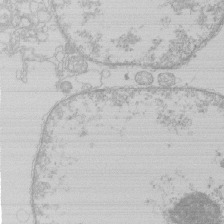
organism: Human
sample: Macrophage cells